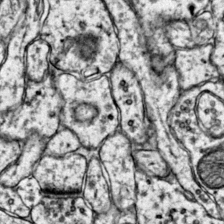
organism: Mouse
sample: Primary visual cortex